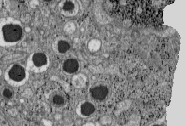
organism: C57BL Mouse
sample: Pancreatic islet